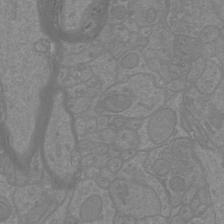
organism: Mouse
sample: Cortical neurons